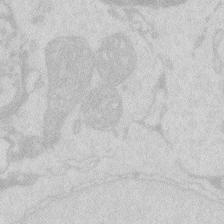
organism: Zebrafish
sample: Macrophage